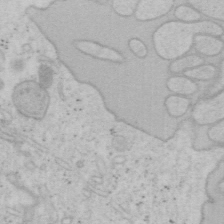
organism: Human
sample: HeLa cells